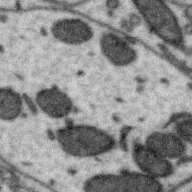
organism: Zebra finch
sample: Brain